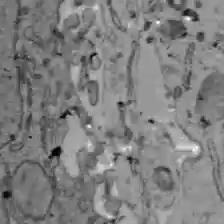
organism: C57BL Mouse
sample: Liver